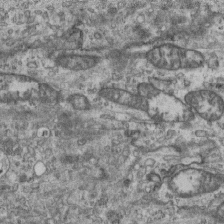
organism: Mouse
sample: Centriole in ependymal cells